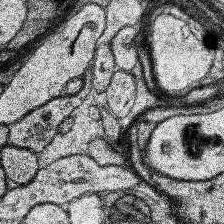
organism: Human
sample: Temporal Lobe